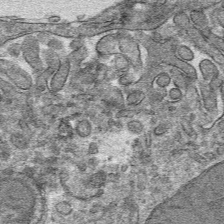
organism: Mouse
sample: Mouse hepatocytes